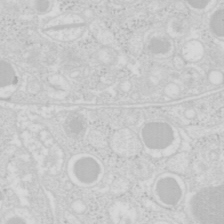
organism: Mouse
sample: Pancreas